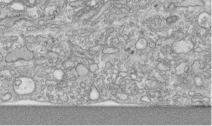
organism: Human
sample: Centriole in RPE cells